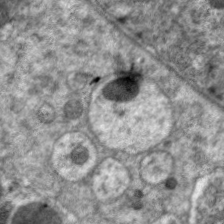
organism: C. elegans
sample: Pharynx